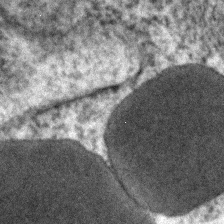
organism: Human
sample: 1205lu cells